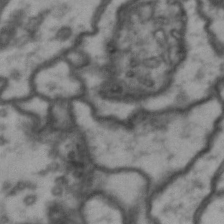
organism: Drosophila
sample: Brain